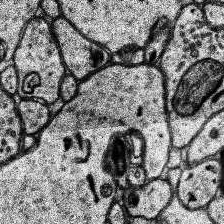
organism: Human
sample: Temporal Lobe